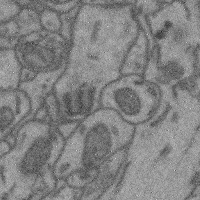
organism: Mouse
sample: Cerebral cortex